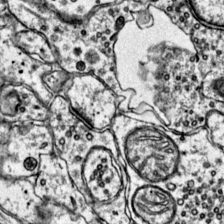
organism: Mouse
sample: Primary visual cortex